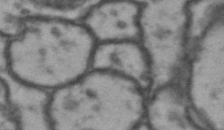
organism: Drosophila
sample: Brain